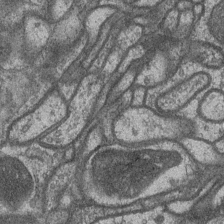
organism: Drosophila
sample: Optic medulla